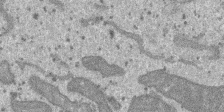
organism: Human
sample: Lung epithelial cells infected with SARS-CoV-2